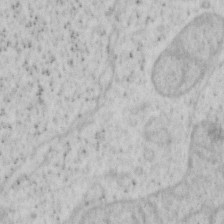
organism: Human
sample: HeLa cells